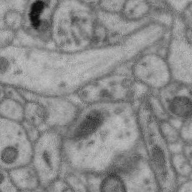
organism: Zebra finch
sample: Brain